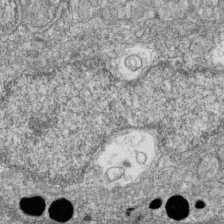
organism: Zebrafish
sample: Cilia; retinal pigment epithelium